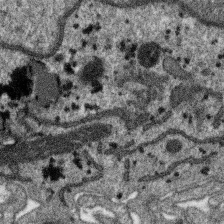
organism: Human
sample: Lung epithelial cells infected with SARS-CoV-2